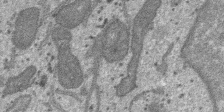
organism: Human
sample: Lung epithelial cells infected with SARS-CoV-2